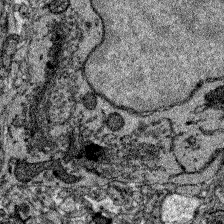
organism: Zebrafish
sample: Larval olfactory bulb